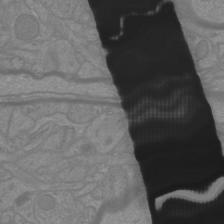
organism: Mouse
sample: Cortical neurons